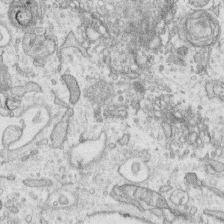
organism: Human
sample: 1205lu cells